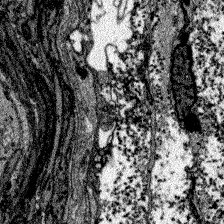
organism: Zebrafish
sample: Larval olfactory bulb